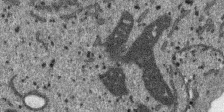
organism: Human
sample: Lung epithelial cells infected with SARS-CoV-2